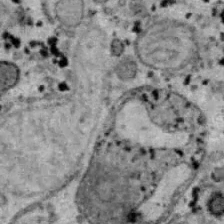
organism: Mouse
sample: Liver from an obese (ob/ob) mouse